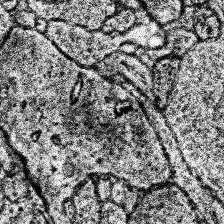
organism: Human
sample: Temporal Lobe